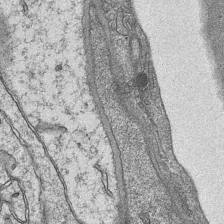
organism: Mouse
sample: CA1 Hippocampus